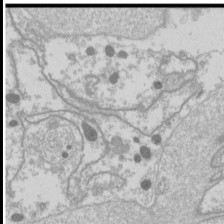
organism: Drosophila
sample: Cell division; meiosis; drosophila spermatocytes